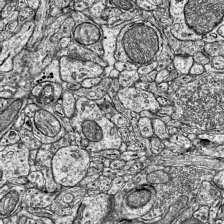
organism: Mouse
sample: Visual Cortex